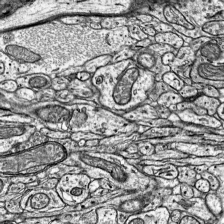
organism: Mouse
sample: Visual Cortex